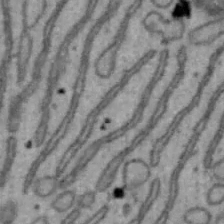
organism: Mouse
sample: Liver